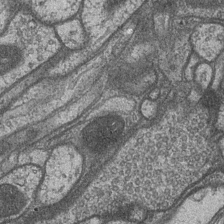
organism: Drosophila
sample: Optic medulla